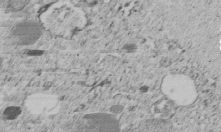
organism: C. elegans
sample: C. elegans embryo early stage